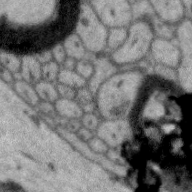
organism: Zebra finch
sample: Brain